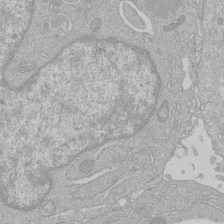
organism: Human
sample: Macrophage cells